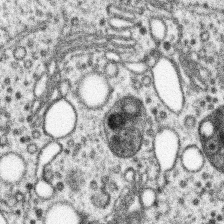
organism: Human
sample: HeLa cells